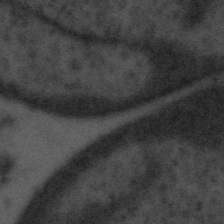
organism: Tuwongella immobilis